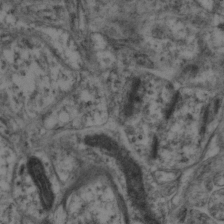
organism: Mouse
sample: Neocortex